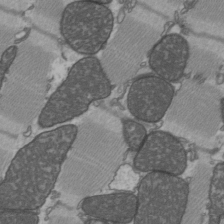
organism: C57BL Mouse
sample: Heart